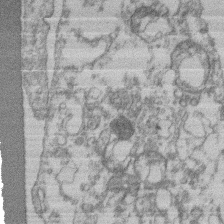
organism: Mouse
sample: T cell stromal cell synapse